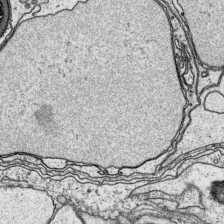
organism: Platynereis dumerilii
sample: Parapodia